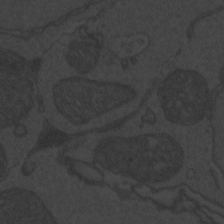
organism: Zebrafish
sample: Macrophage infected with Toxoplasma gondii